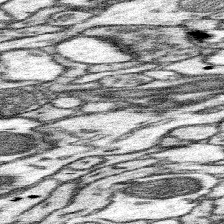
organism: Mouse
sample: Somatosensory cortex neuropil